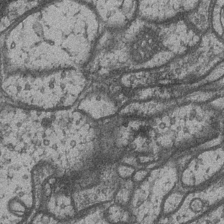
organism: Drosophila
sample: Optic medulla